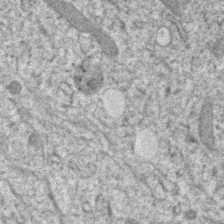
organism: Human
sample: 1205lu cells